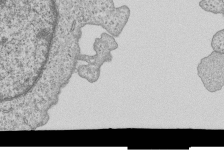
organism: Human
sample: MDA-MB-231 cells